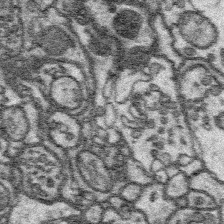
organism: Platynereis dumerilii